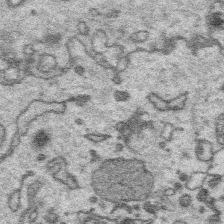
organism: Platynereis dumerilii